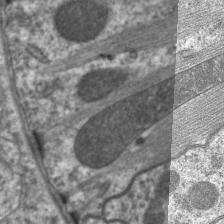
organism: C. elegans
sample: Pharynx